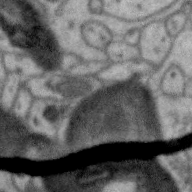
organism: Zebra finch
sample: Brain